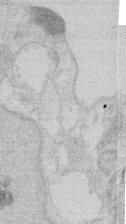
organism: Mouse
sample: T cell stromal cell synapse